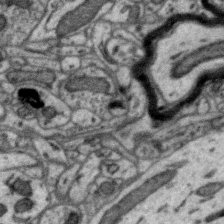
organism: Zebra finch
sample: Brain